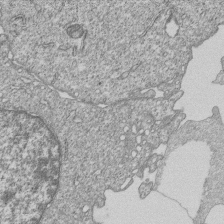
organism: Human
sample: MDA-MB-231 cells